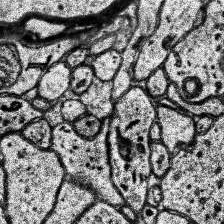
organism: Human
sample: Temporal Lobe